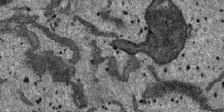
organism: Human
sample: Lung epithelial cells, uninfected (mock) control